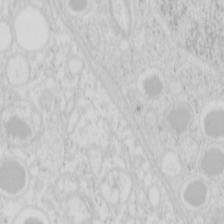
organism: Mouse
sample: Pancreas